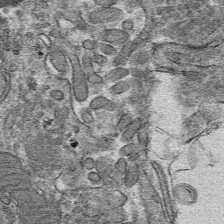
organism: Mouse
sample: Mouse hepatocytes